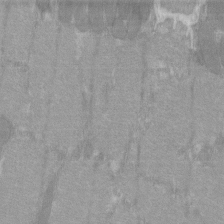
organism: C57BL Mouse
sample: Tibialis anterior muscle cell